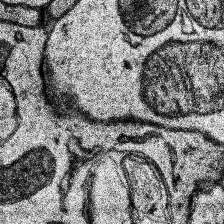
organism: Human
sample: Temporal Lobe